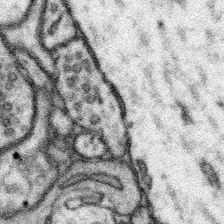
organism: Mouse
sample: Somatosensory cortex neuropil